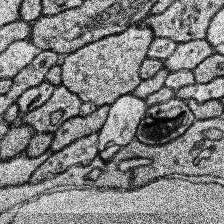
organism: Human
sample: Temporal Lobe